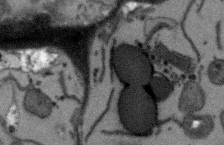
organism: Arabidopsis thaliana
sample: Root tip